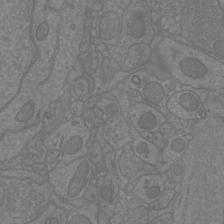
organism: Mouse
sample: Cortical neurons